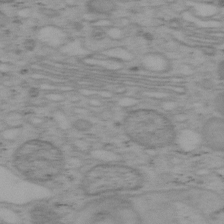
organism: Mouse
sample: OT-I killer T cells with ID8 ovarian cancer cells